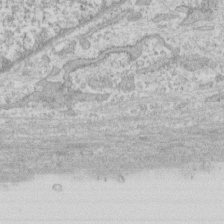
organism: Human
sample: CRL-1474